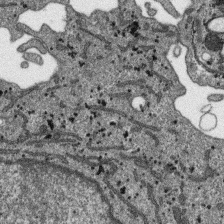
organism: Human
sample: Lung epithelial cells infected with SARS-CoV-2